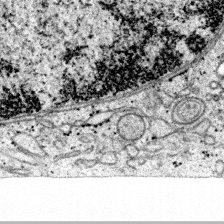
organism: Human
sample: HeLa cells